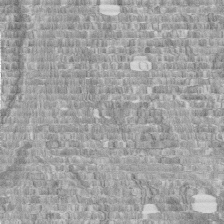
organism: Human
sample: Centriole in fibroblast cells